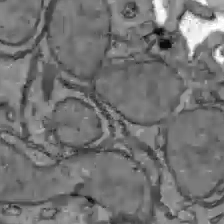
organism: C57BL Mouse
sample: Liver